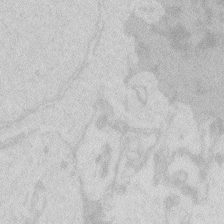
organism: Zebrafish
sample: Macrophage